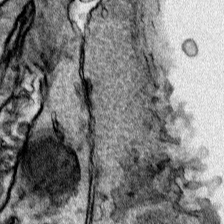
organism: Human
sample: Mitochondria in HCT116 cells